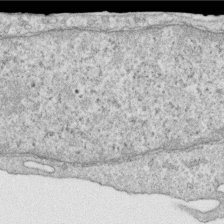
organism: Human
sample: Centriole in RPE cells